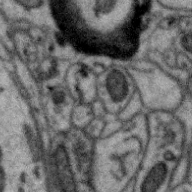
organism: Zebra finch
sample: Brain